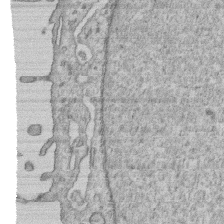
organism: Human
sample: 1205lu cells